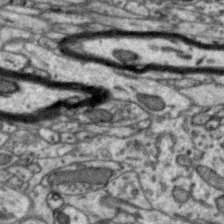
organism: Zebra finch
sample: Brain